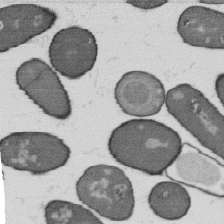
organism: B. subtilis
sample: Bacterial spore